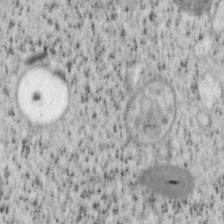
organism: Mouse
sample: OT-I killer T cells with ID8 ovarian cancer cells